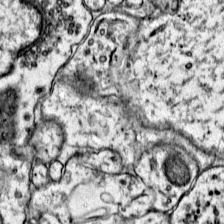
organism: Mouse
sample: Primary visual cortex